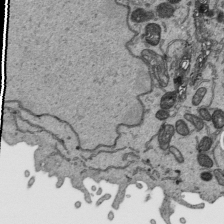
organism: Human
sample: Mitochondria in HCT116 cells